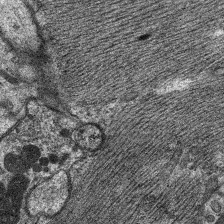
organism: C. elegans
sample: Pharynx